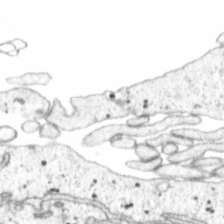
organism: Human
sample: HeLa cells